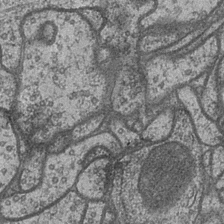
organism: Drosophila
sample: Optic medulla